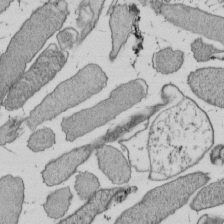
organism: E. coli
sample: Bacterial nucleoid